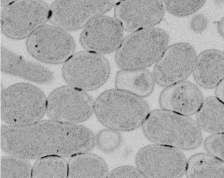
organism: E. coli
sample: Bacterial nucleoid